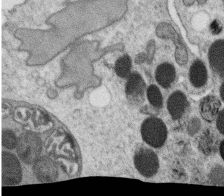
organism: C. elegans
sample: C. elegans oocyte; sperm cells